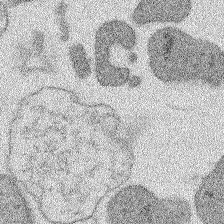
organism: Human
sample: HeLa cells